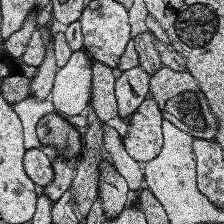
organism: Human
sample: Temporal Lobe